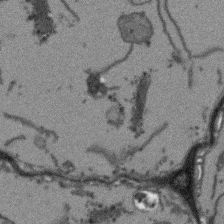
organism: Arabidopsis thaliana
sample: Root tip